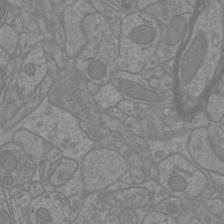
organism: Mouse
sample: Cortical neurons